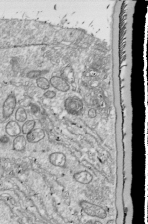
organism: Drosophila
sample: Cell division; meiosis; drosophila spermatocytes